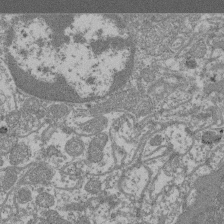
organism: Mouse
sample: Glomerulus